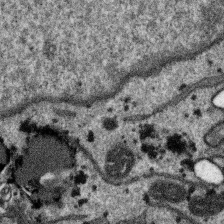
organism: Human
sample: Lung epithelial cells infected with SARS-CoV-2